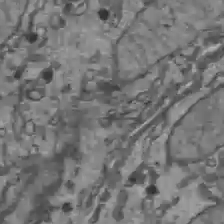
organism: C57BL Mouse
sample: Liver